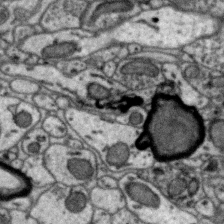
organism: Zebra finch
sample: Brain